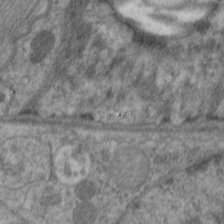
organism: C. elegans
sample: Pharynx